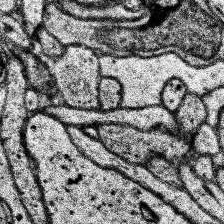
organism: Human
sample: Temporal Lobe